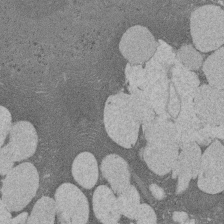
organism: Rat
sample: Salivary granule